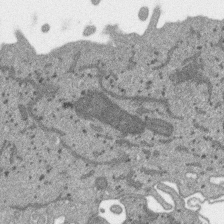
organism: Human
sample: Lung epithelial cells infected with SARS-CoV-2